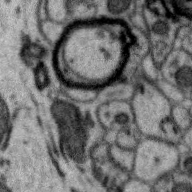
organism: Zebra finch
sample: Brain